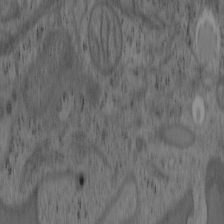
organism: Human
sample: HeLa cells